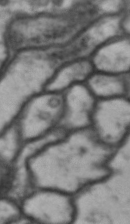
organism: Drosophila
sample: Brain